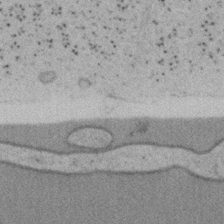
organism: Human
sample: HeLa cells